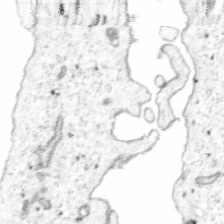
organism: Human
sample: HeLa cells